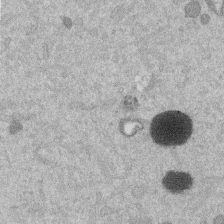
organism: Mouse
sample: Dividing mouse embryo 1 cell stage